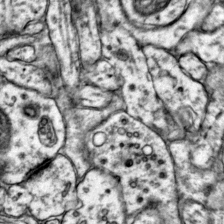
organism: Mouse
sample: Primary visual cortex